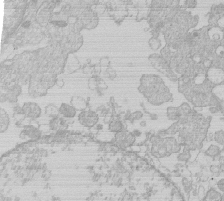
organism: Human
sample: Macrophage cells